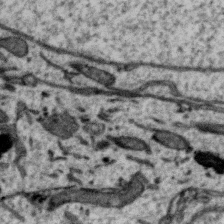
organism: Zebra finch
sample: Brain